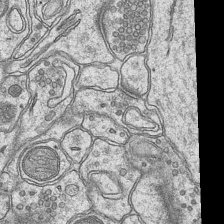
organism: Mouse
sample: CA1 Hippocampus